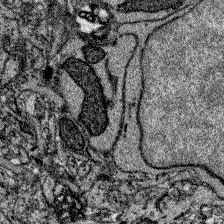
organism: Zebrafish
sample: Larval olfactory bulb